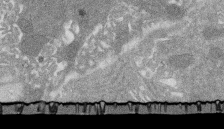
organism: Rat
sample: Salivary granule